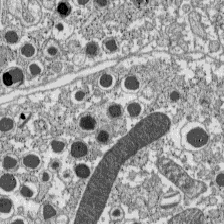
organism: C57BL Mouse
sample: Pancreatic islet